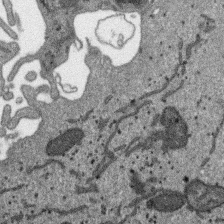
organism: Human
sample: Lung epithelial cells infected with SARS-CoV-2